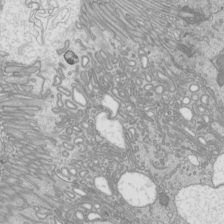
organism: Mouse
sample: Cilia; mouse epididymis